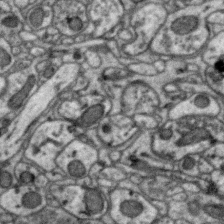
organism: Zebra finch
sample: Brain